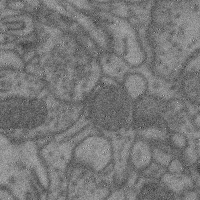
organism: Mouse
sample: Cerebral cortex